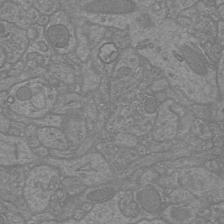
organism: Mouse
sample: Cortical neurons